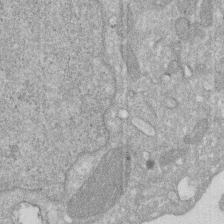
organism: Human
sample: HIV infected U937 cells